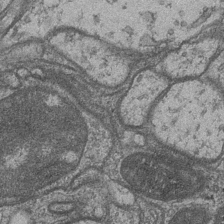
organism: Drosophila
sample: Optic medulla